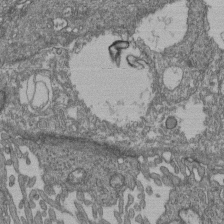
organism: Human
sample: Retinal organoid Rod and Cone cells